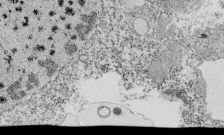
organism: Tetrahymena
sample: Cilia in tetrahymena